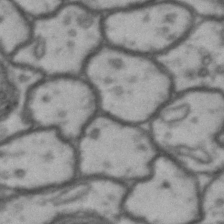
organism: Drosophila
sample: Brain